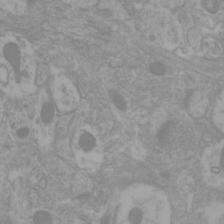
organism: Mouse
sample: Cortical neurons